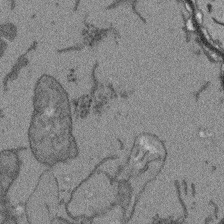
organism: Arabidopsis thaliana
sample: Root tip